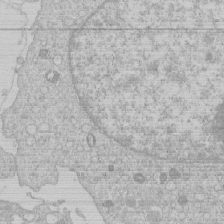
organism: Human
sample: Macrophage cells